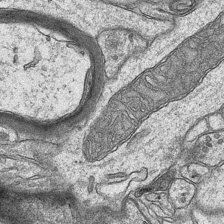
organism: Mouse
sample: CA1 Hippocampus